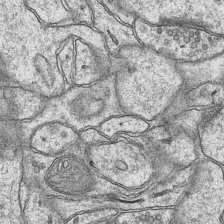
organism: Mouse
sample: CA1 Hippocampus